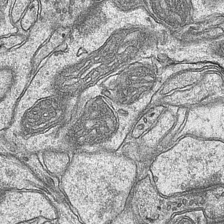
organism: Mouse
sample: CA1 Hippocampus